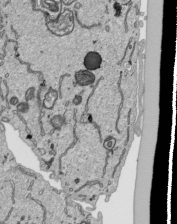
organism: Human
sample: Mitochondria in HCT116 cells